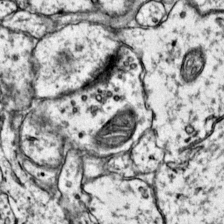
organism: Mouse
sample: Primary visual cortex